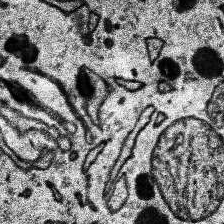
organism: Human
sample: Temporal Lobe